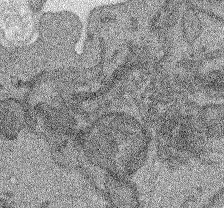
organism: Human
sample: HeLa cells